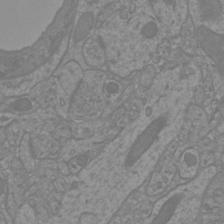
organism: Mouse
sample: Cortical neurons